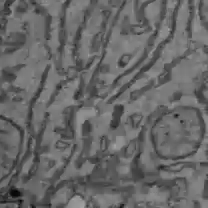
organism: C57BL Mouse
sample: Liver